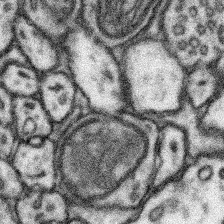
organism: Mouse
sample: Somatosensory cortex neuropil